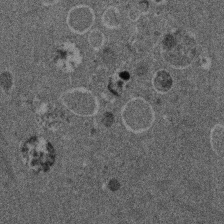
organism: Mouse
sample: Dividing mouse embryo 1 cell stage